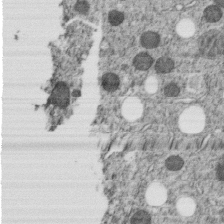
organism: C. elegans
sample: C. elegans embryo early stage